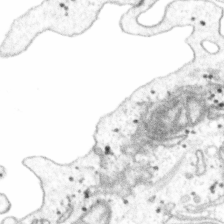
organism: Human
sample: HeLa cells